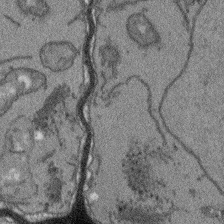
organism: Arabidopsis thaliana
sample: Root tip